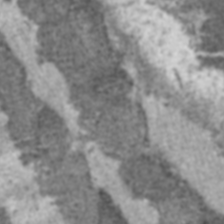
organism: C57BL Mouse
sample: Heart